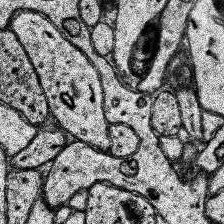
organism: Human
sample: Temporal Lobe